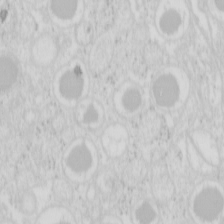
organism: Mouse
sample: Pancreas